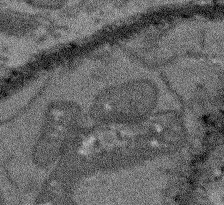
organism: Arabidopsis thaliana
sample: Root tip